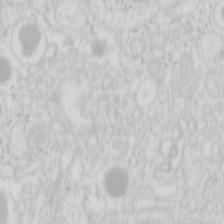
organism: Mouse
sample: Pancreas